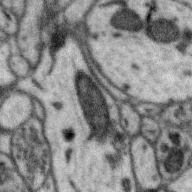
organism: Zebra finch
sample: Brain